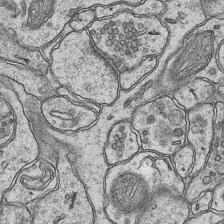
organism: Mouse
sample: CA1 Hippocampus